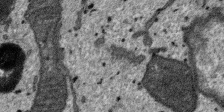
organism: Human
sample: Lung epithelial cells, uninfected (mock) control